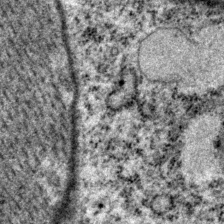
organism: P. pacificus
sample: Pharynx